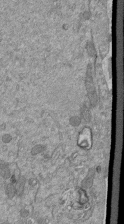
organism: Mouse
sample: ED-1 cell nuclei; centrioles